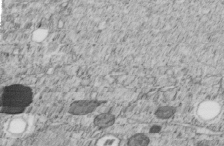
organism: C. elegans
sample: C. elegans embryo early stage